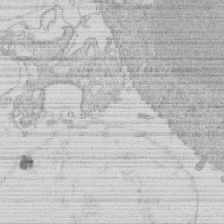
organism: Human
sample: Macrophage cells